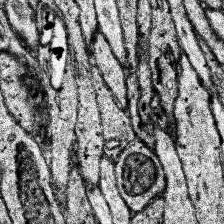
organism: Human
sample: Temporal Lobe